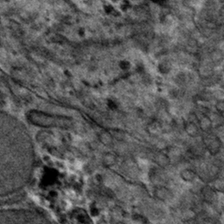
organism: Mouse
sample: Mouse hepatocytes